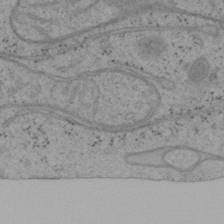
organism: Human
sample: HeLa cells